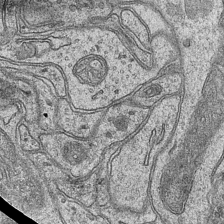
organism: Mouse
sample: CA1 Hippocampus